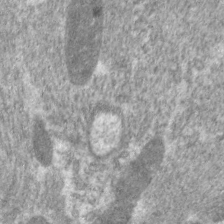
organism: C. elegans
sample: Pharynx